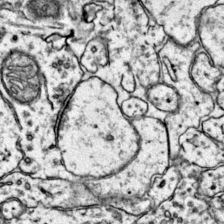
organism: Mouse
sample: Primary visual cortex